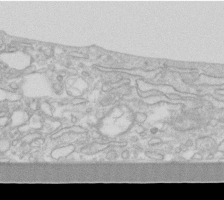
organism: Human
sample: Fibroblast cells